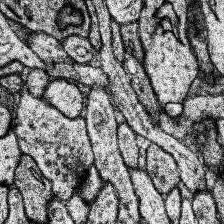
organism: Human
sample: Temporal Lobe